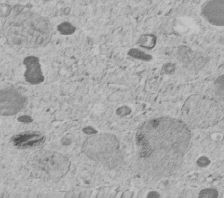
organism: C. elegans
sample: C. elegans embryo early stage